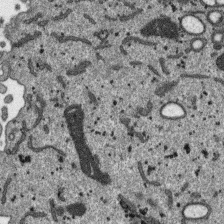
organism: Human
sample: Lung epithelial cells infected with SARS-CoV-2